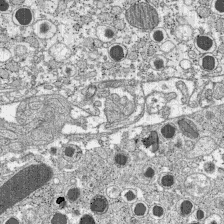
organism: C57BL Mouse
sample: Pancreatic islet